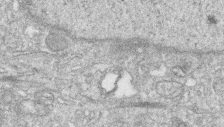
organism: Human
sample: HeLa cell HIV synapse